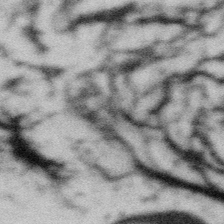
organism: Gemmata obscuriglobus